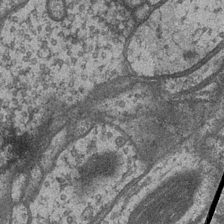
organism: Drosophila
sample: Optic medulla